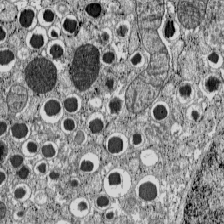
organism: C57BL Mouse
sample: Pancreatic islet